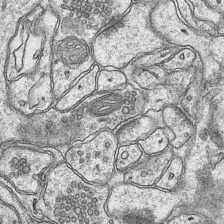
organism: Mouse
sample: CA1 Hippocampus